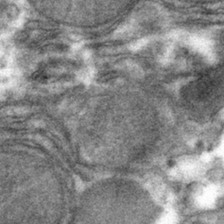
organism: Mouse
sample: Mouse hepatocytes